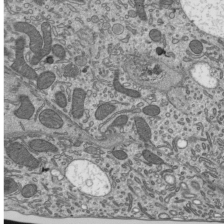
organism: Mouse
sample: Mouse epididymis efferent ductule cilia